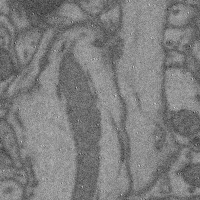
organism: Mouse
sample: Cerebral cortex